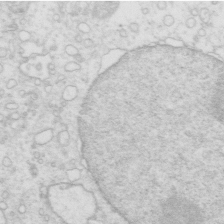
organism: Mouse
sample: Multiciliated cells